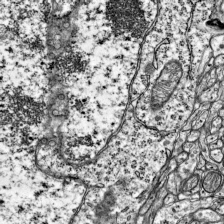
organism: Mouse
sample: Visual Cortex